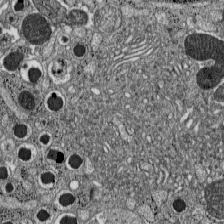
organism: C57BL Mouse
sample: Pancreatic islet